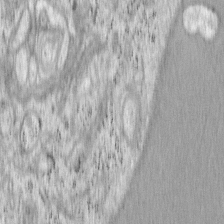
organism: Human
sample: HeLa cells